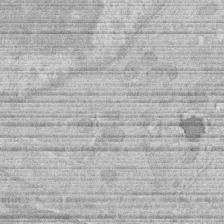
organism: Human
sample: Macrophage cells